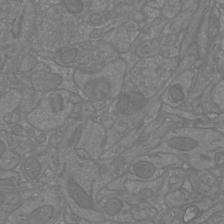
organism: Mouse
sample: Cortical neurons